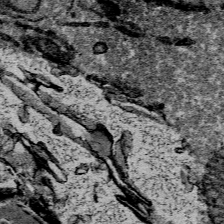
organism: Mouse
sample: Mouse Salivary gland